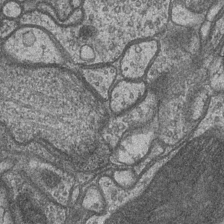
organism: Drosophila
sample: Optic medulla